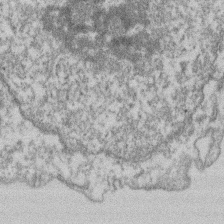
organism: Mouse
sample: T cell stromal cell synapse